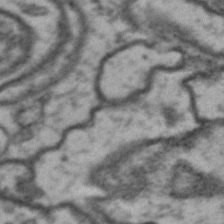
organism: Drosophila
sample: Brain